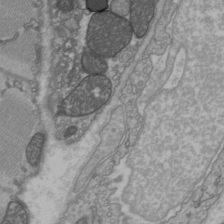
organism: C57BL Mouse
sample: Heart